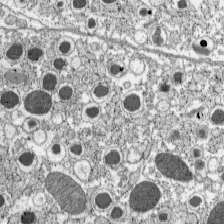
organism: C57BL Mouse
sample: Pancreatic islet